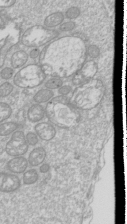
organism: Drosophila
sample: Cell division; meiosis; drosophila spermatocytes